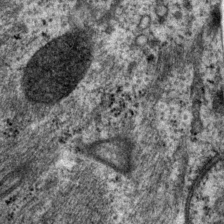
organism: P. pacificus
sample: Pharynx